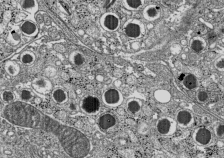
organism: C57BL Mouse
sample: Pancreatic islet